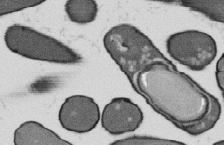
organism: B. subtilis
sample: Bacterial spore